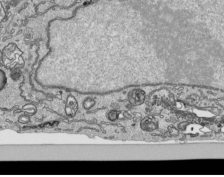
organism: Human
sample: Mitochondria in HCT116 cells